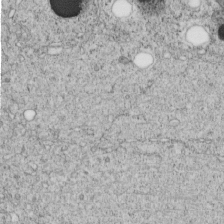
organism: C. elegans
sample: C. elegans embryo early stage